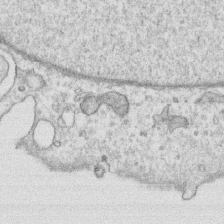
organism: Human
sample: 1205lu cells